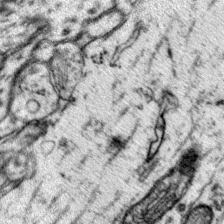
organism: Mouse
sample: Primary visual cortex